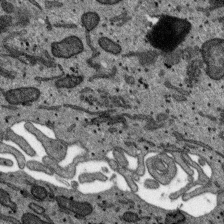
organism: Human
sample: Lung epithelial cells, uninfected (mock) control